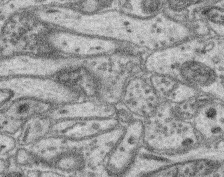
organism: Mouse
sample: Retina